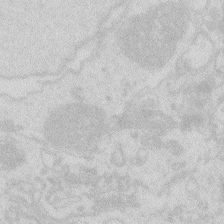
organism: Zebrafish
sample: Macrophage